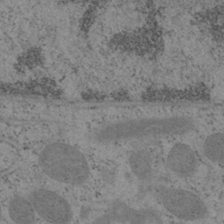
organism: Mouse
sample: OT-I killer T cells with ID8 ovarian cancer cells